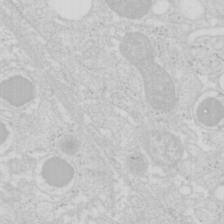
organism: Mouse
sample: Pancreas